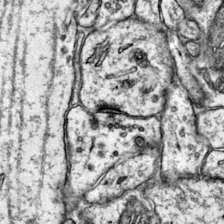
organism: Mouse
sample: Primary visual cortex